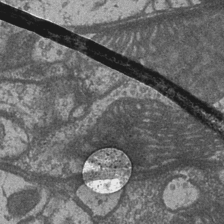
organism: Drosophila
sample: Optic medulla